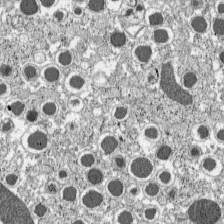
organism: C57BL Mouse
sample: Pancreatic islet